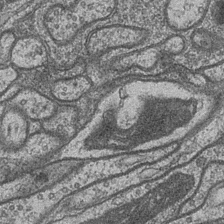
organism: Drosophila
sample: Optic medulla